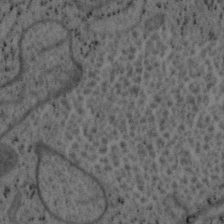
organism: Human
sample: HeLa cells